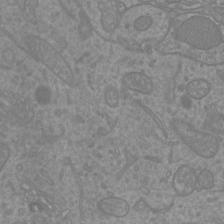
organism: Mouse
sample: Cortical neurons